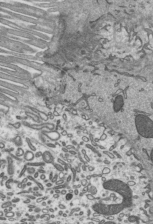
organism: Mouse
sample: Mouse epididymis efferent ductule cilia